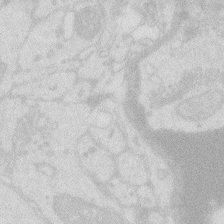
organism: Zebrafish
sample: Macrophage